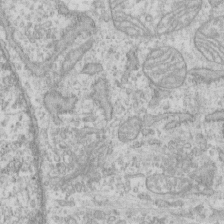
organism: Human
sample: CRL-1474